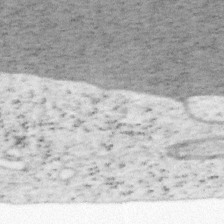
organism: Mouse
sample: OT-I killer T cells with ID8 ovarian cancer cells